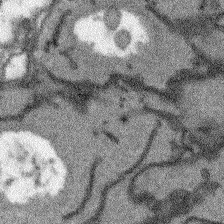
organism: Arabidopsis thaliana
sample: Root tip